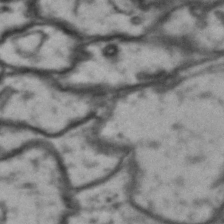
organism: Drosophila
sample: Brain